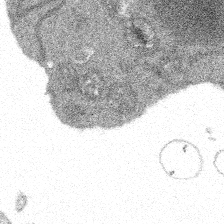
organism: Spongilla lacustris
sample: Multiple